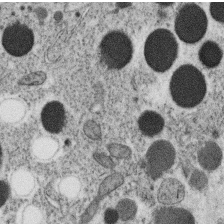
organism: C. elegans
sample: C. elegans oocyte; sperm cells